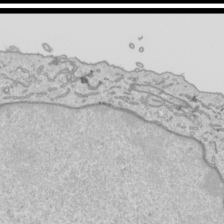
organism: Human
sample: Mitochondria in HCT116 cells